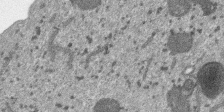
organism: Human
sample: Lung epithelial cells infected with SARS-CoV-2